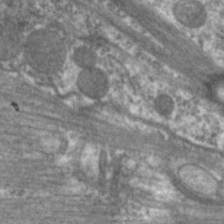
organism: C. elegans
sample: Pharynx